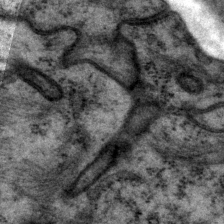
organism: P. pacificus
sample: Pharynx